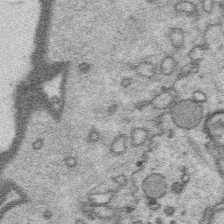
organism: Platynereis dumerilii